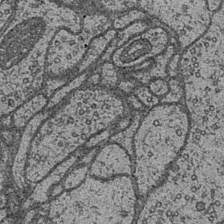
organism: Drosophila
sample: Optic medulla